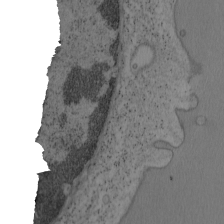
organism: Mouse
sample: OT-I killer T cells with ID8 ovarian cancer cells